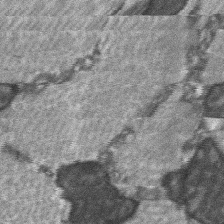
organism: C57BL Mouse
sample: Soleus